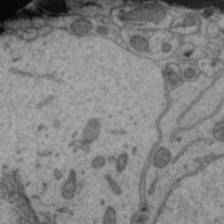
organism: Zebra finch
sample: Brain